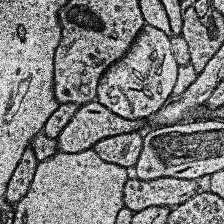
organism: Human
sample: Temporal Lobe